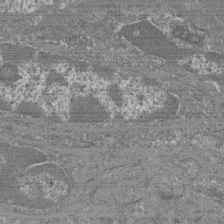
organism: Mouse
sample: Glomerulus